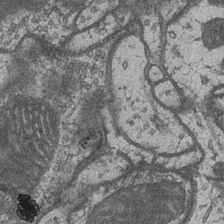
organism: Drosophila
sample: Optic medulla